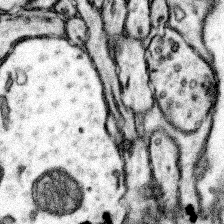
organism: Mouse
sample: Somatosensory cortex neuropil